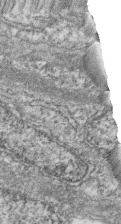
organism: Zebrafish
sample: Cilia; retinal pigment epithelium